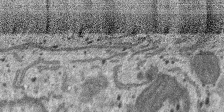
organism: Human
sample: Lung epithelial cells infected with SARS-CoV-2